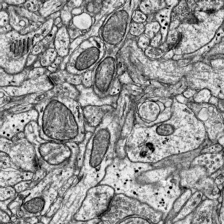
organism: Mouse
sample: Visual Cortex